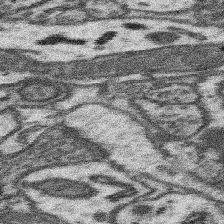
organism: Mouse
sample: Somatosensory cortex neuropil